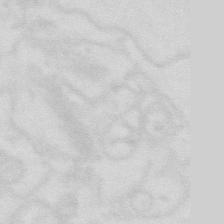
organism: Human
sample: HeLa cells